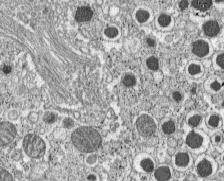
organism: C57BL Mouse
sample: Pancreatic islet